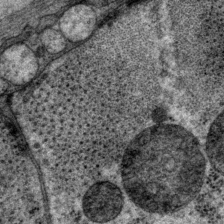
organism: P. pacificus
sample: Pharynx